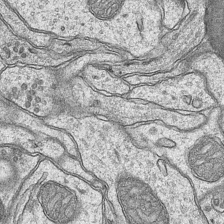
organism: Mouse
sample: CA1 Hippocampus